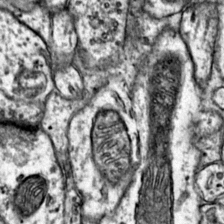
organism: Mouse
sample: Primary visual cortex